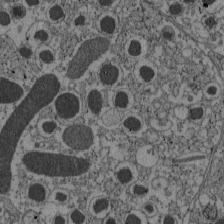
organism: C57BL Mouse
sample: Pancreatic islet